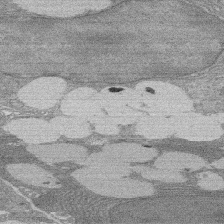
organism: Rat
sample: Salivary granule